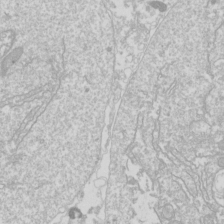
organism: Drosophila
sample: Cell division; meiosis; drosophila spermatocytes